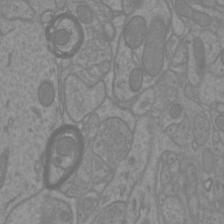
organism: Mouse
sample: Cortical neurons